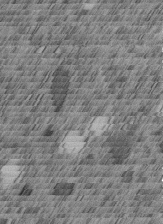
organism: C. elegans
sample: C. elegans embryo early stage